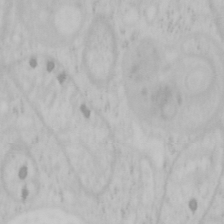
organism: Mouse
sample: OT-I killer T cells with ID8 ovarian cancer cells